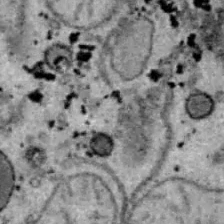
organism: Mouse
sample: Liver from an obese (ob/ob) mouse